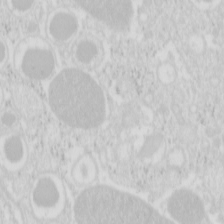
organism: Mouse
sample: Pancreas